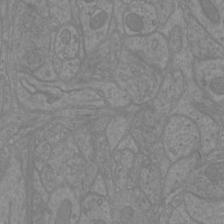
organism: Mouse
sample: Cortical neurons